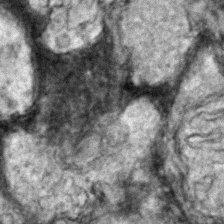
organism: Zebrafish